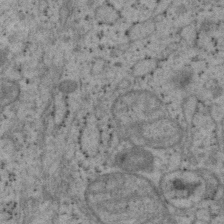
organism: Human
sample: HeLa cells